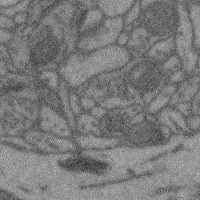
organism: Mouse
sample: Cerebral cortex